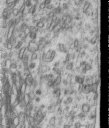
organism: Human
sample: Centriole in RPE cells